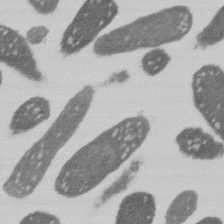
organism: E. coli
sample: Bacterial nucleoid